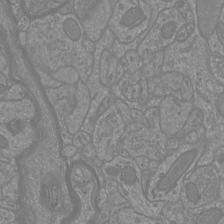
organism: Mouse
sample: Cortical neurons